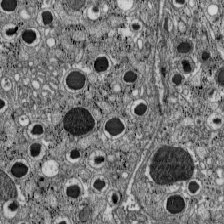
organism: C57BL Mouse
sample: Pancreatic islet